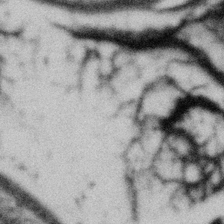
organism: Gemmata obscuriglobus